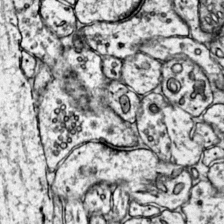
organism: Mouse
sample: Primary visual cortex